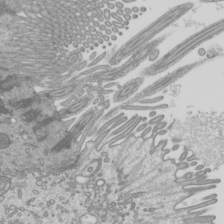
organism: Mouse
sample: Cilia; mouse epididymis